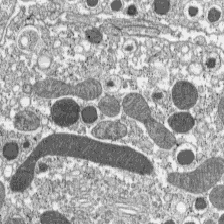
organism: C57BL Mouse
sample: Pancreatic islet